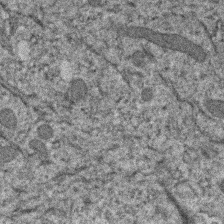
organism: Human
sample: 1205lu cells